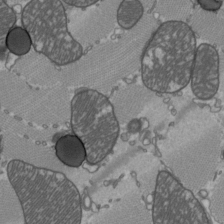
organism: C57BL Mouse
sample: Heart